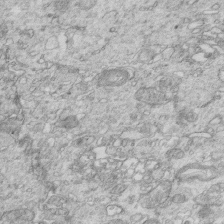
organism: Mouse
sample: Multiciliated cells